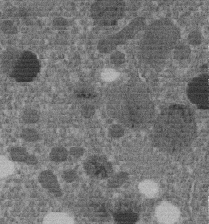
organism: C. elegans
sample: C. elegans embryo early stage